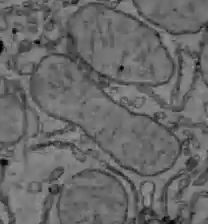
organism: C57BL Mouse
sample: Liver